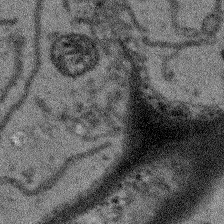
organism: Arabidopsis thaliana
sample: Root tip